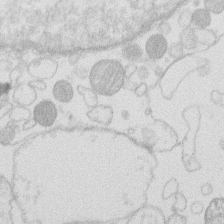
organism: Human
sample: Macrophage cells